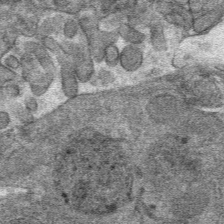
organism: Mouse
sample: Mouse hepatocytes